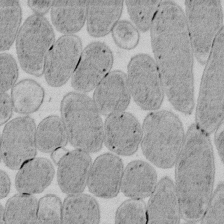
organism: E. coli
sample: Bacterial nucleoid